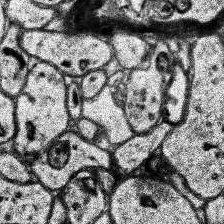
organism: Human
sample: Temporal Lobe